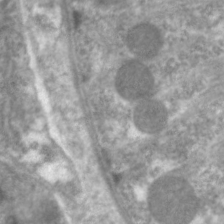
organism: C. elegans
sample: Pharynx